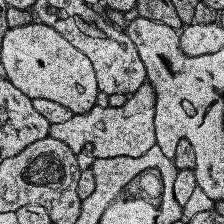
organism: Human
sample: Temporal Lobe